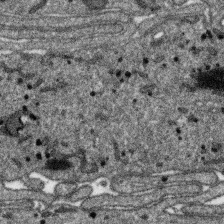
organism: Human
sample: Lung epithelial cells infected with SARS-CoV-2